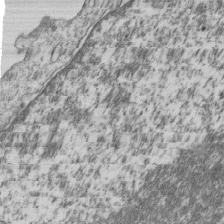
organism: Human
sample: MDA-MB-231 cells